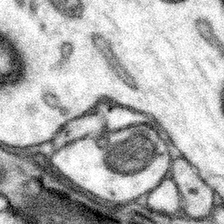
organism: Mouse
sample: Somatosensory cortex neuropil